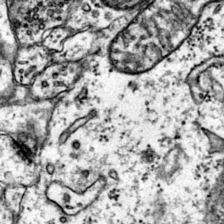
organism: Mouse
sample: Primary visual cortex